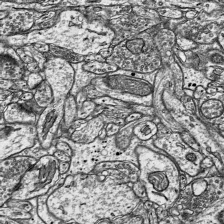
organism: Mouse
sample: Visual Cortex